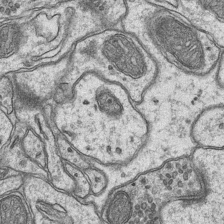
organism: Mouse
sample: CA1 Hippocampus